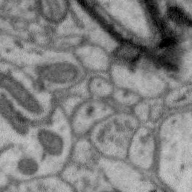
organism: Zebra finch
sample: Brain